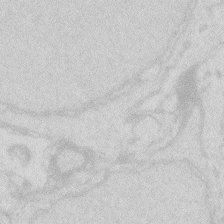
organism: Zebrafish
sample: Macrophage